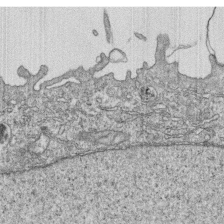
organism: Human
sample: HeLa cell HIV synapse